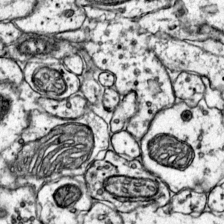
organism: Mouse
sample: Primary visual cortex